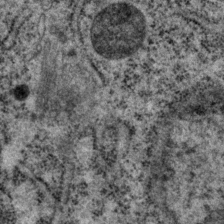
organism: P. pacificus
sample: Pharynx